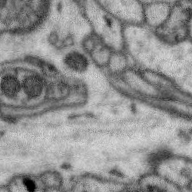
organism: Zebra finch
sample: Brain